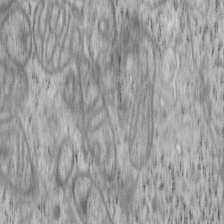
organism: Human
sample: HeLa cells